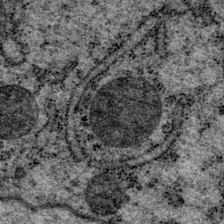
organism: P. pacificus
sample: Pharynx